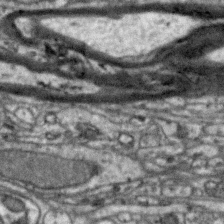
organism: Zebra finch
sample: Brain